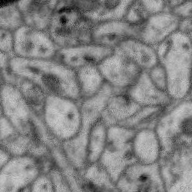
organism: Zebra finch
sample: Brain